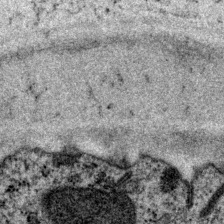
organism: P. pacificus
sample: Pharynx